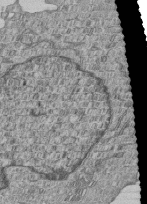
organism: Human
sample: MDA-MB-231 cells